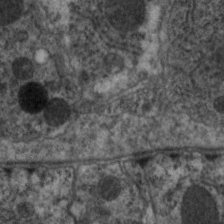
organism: C. elegans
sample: Pharynx